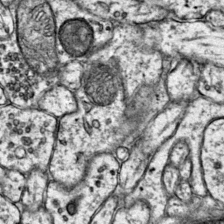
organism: Mouse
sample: Primary visual cortex